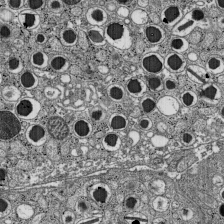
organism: C57BL Mouse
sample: Pancreatic islet